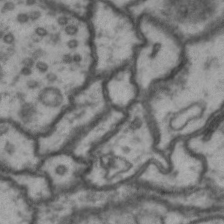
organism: Drosophila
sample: Brain